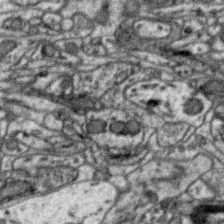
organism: Zebra finch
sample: Brain